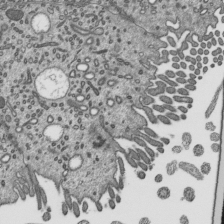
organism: Mouse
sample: Mouse epididymis efferent ductule cilia